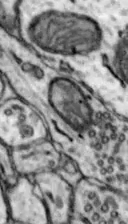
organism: Mouse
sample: Nucleus accumbens